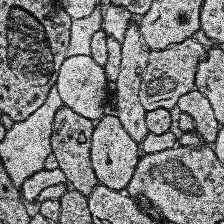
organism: Human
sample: Temporal Lobe